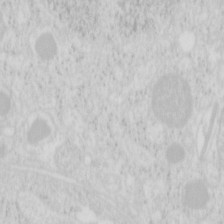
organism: Mouse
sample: Pancreas